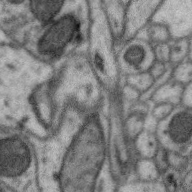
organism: Zebra finch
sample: Brain